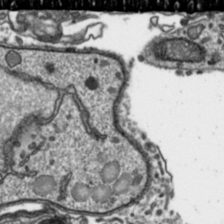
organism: Toxoplasma gondii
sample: Parasites in a vacuole inside a host cell